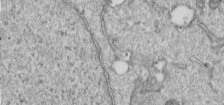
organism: Human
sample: Centriole in RPE cells